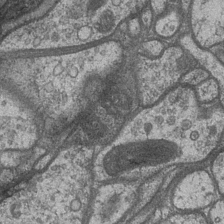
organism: Drosophila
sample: Optic medulla